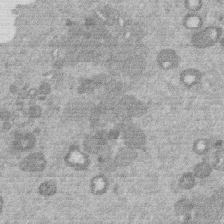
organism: Mouse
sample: Dividing mouse embryo 1 cell stage